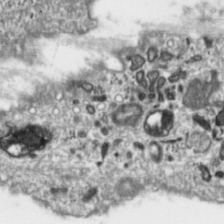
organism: Toxoplasma gondii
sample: Parasites in a vacuole inside a host cell